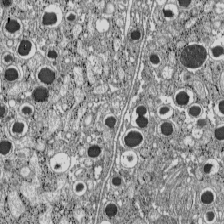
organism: C57BL Mouse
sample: Pancreatic islet